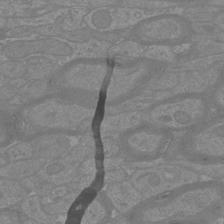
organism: Mouse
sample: Cortical neurons